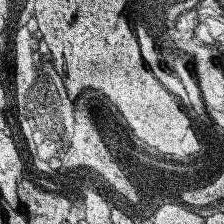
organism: Human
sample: Temporal Lobe